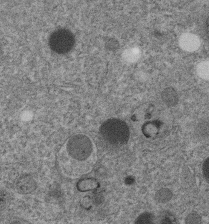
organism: C. elegans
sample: C. elegans embryo early stage